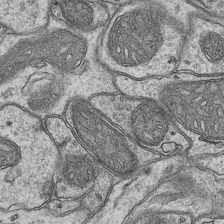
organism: Mouse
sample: CA1 Hippocampus